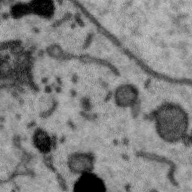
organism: Zebra finch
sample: Brain